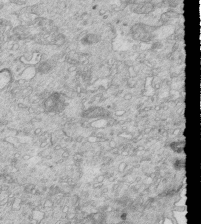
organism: Mouse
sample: Multiciliated cells